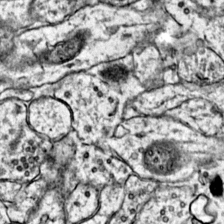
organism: Mouse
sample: Primary visual cortex